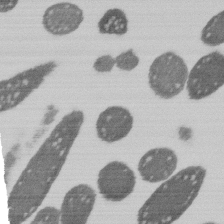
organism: E. coli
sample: Bacterial nucleoid